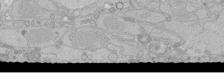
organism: Human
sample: Caco-2 cells